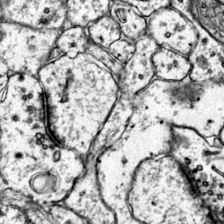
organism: Mouse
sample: Primary visual cortex